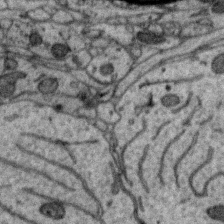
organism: Zebra finch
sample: Brain